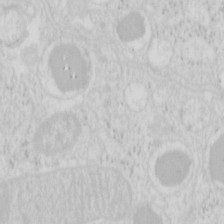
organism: Mouse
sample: Pancreas